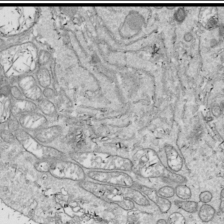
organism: Drosophila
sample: Cell division; meiosis; drosophila spermatocytes